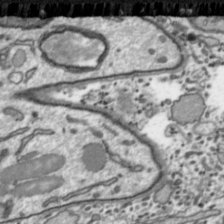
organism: Toxoplasma gondii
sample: Parasites in a vacuole inside a host cell